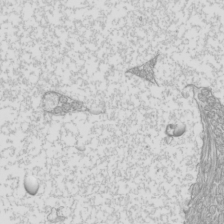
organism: Mouse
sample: Cilia; mouse epididymis